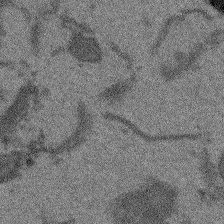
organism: Arabidopsis thaliana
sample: Root tip